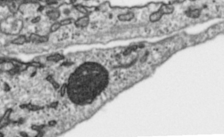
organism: Toxoplasma gondii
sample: Parasites in a vacuole inside a host cell